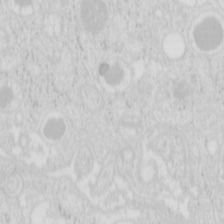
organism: Mouse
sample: Pancreas